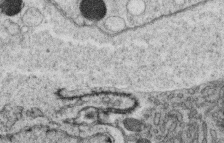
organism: C. elegans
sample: C. elegans oocyte; sperm cells